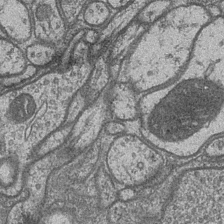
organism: Drosophila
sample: Optic medulla